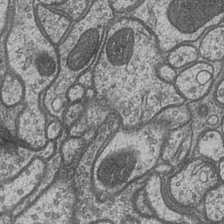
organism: Drosophila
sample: Optic medulla